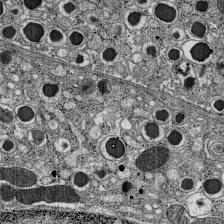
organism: C57BL Mouse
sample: Pancreatic islet